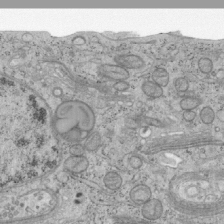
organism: Human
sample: HeLa cells